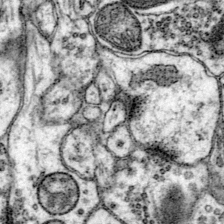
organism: Mouse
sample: Primary visual cortex